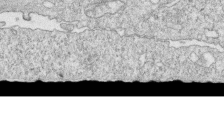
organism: Human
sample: HeLa cell HIV synapse